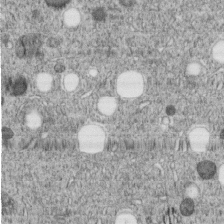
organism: C. elegans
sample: C. elegans embryo early stage